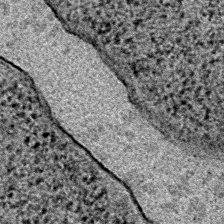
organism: E. coli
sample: E. Coli Bacteria